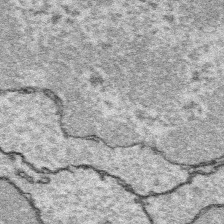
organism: Platynereis dumerilii